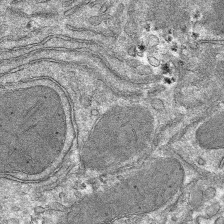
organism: Mouse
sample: Mouse hepatocytes